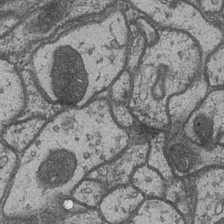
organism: Drosophila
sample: Optic medulla